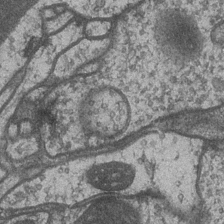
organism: Drosophila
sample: Optic medulla